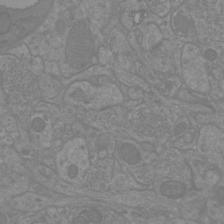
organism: Mouse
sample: Cortical neurons